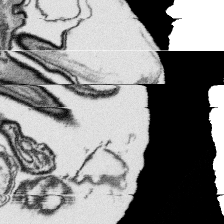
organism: Platynereis dumerilii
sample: Parapodia